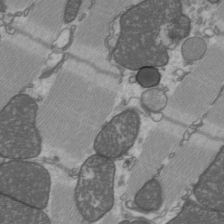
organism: C57BL Mouse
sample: Heart